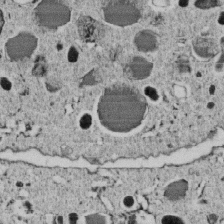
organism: C. elegans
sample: C. elegans embryo early stage